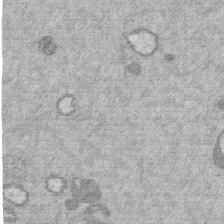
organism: Mouse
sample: Dividing mouse embryo 1 cell stage